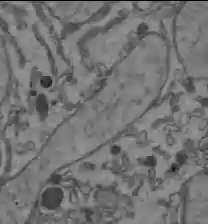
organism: C57BL Mouse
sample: Liver